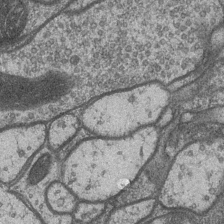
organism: Drosophila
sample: Optic medulla